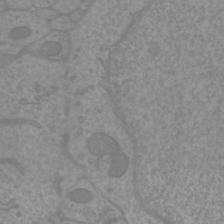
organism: Mouse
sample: Cortical neurons